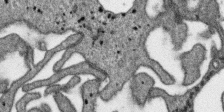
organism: Human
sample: Lung epithelial cells, uninfected (mock) control